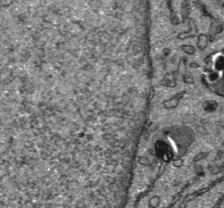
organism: C57BL Mouse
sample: Liver